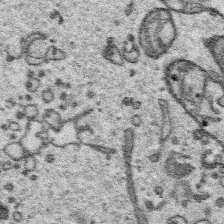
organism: Platynereis dumerilii